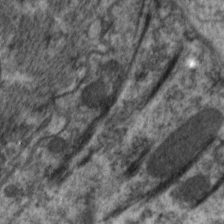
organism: C. elegans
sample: Pharynx